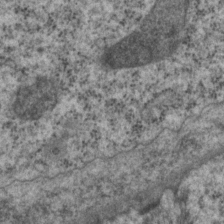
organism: P. pacificus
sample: Pharynx